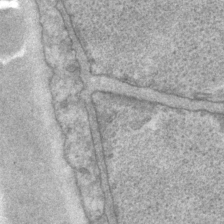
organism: P. pacificus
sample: Pharynx